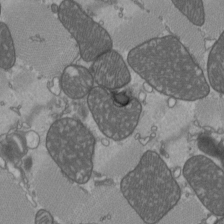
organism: C57BL Mouse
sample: Heart